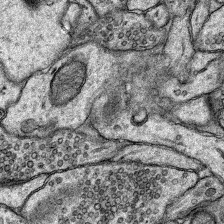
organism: Rat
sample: Hippocampus